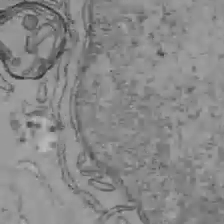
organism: C57BL Mouse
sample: Liver